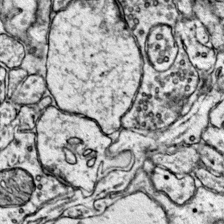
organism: Mouse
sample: Primary visual cortex